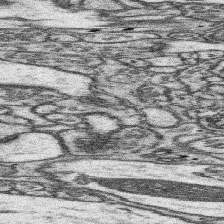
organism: Mouse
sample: Somatosensory cortex neuropil